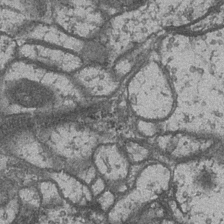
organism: Drosophila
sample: Optic medulla